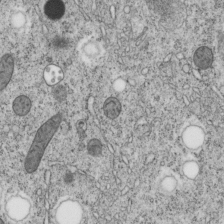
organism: C. elegans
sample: C. elegans embryo early stage